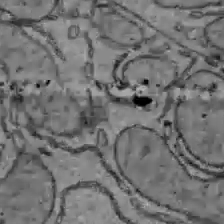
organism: C57BL Mouse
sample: Liver